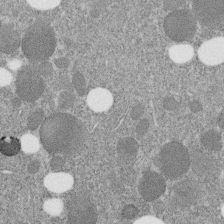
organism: C. elegans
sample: C. elegans embryo early stage